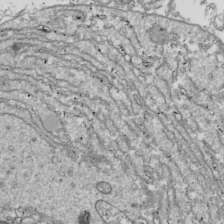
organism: Drosophila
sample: Cell division; meiosis; drosophila spermatocytes